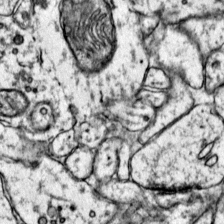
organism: Mouse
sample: Primary visual cortex